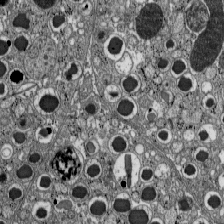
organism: C57BL Mouse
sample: Pancreatic islet